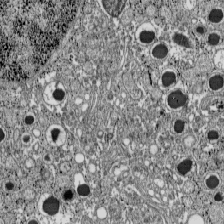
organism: C57BL Mouse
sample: Pancreatic islet